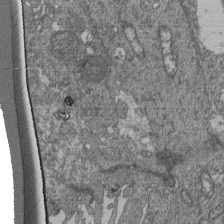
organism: Human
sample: Retinal organoid Rod and Cone cells